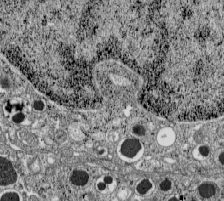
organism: C57BL Mouse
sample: Pancreatic islet